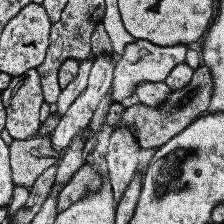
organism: Human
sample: Temporal Lobe